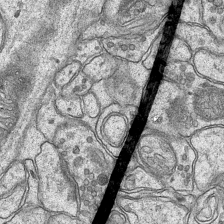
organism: Mouse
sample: CA1 Hippocampus